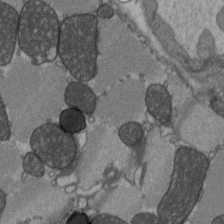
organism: C57BL Mouse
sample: Heart